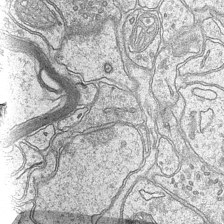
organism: Mouse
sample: CA1 Hippocampus